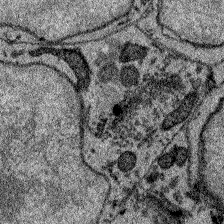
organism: Zebrafish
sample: Larval olfactory bulb